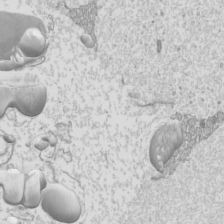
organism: Mouse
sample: Cilia; mouse epididymis